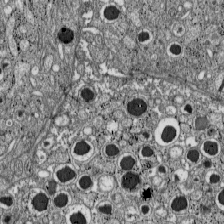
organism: C57BL Mouse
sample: Pancreatic islet